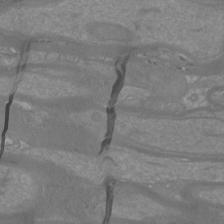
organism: Mouse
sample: Cortical neurons